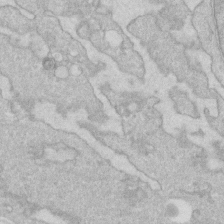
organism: Human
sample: Fibroblast cells